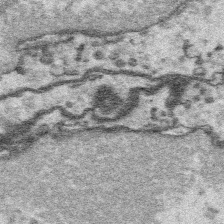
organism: Platynereis dumerilii